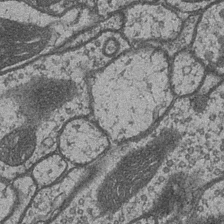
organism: Drosophila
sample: Optic medulla